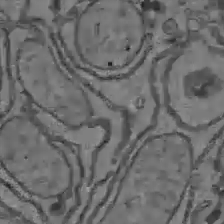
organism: C57BL Mouse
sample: Liver